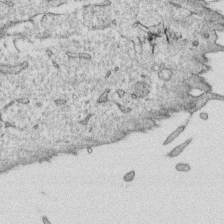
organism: Human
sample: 1205lu cells